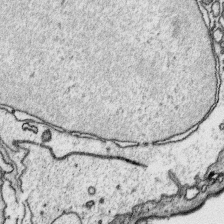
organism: Platynereis dumerilii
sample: Parapodia